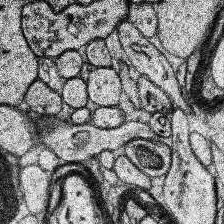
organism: Human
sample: Temporal Lobe